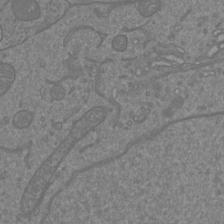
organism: Mouse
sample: Cortical neurons